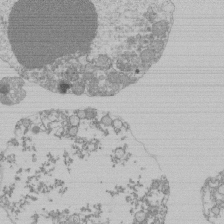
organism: Mouse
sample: Activated Pmel transgenic CD8+ T Cells